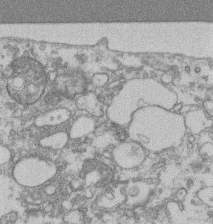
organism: Mouse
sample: T cell stromal cell synapse